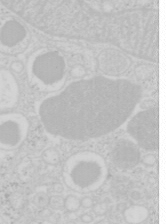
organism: Mouse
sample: Pancreas